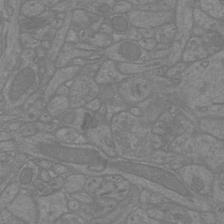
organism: Mouse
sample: Cortical neurons